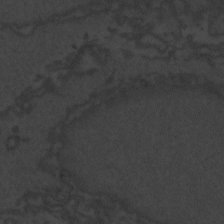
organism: Zebrafish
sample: Macrophage infected with Toxoplasma gondii